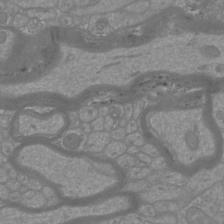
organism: Mouse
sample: Cortical neurons